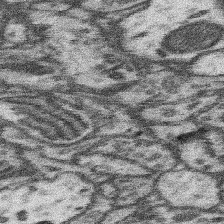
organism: Mouse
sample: Somatosensory cortex neuropil